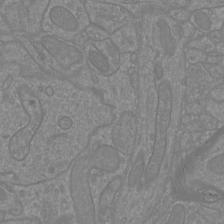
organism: Mouse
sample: Cortical neurons